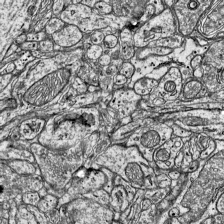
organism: Mouse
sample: Visual Cortex